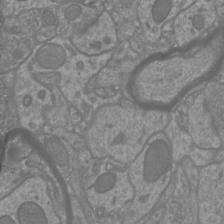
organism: Mouse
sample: Cortical neurons